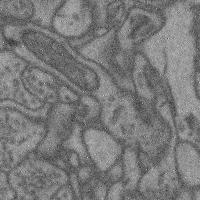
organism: Mouse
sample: Cerebral cortex